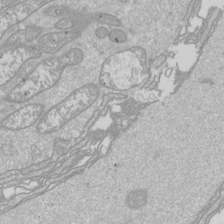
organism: Drosophila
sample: Cell division; meiosis; drosophila spermatocytes